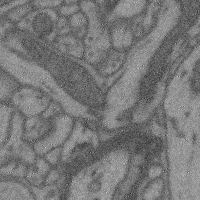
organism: Mouse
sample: Cerebral cortex